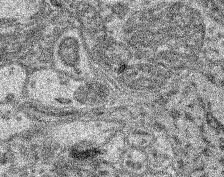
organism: Mouse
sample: Retina